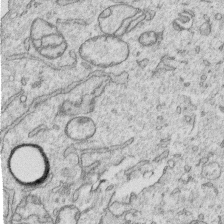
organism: Human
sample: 1205lu cells